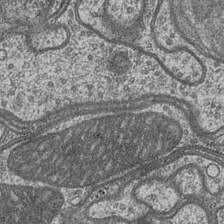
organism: Drosophila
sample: Optic medulla